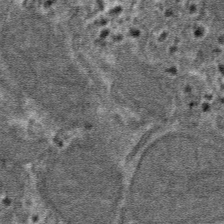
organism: Mouse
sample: Mouse hepatocytes